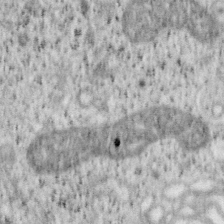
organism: Mouse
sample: OT-I killer T cells with ID8 ovarian cancer cells